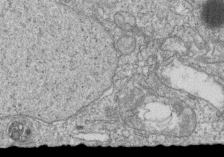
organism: Human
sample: HeLa cell HIV synapse